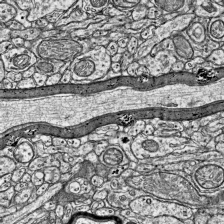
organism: Mouse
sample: Visual Cortex